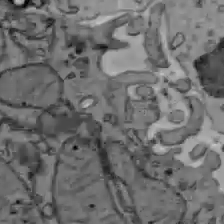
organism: C57BL Mouse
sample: Liver